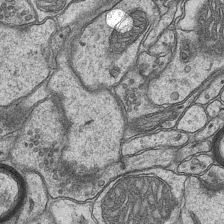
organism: Mouse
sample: CA1 Hippocampus